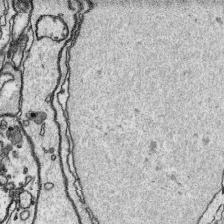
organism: Platynereis dumerilii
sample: Parapodia